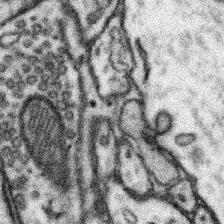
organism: Mouse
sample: Somatosensory cortex neuropil